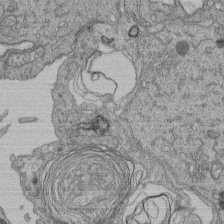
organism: Human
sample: Retinal organoid Rod and Cone cells